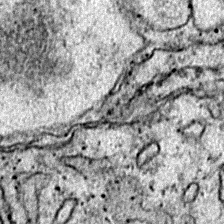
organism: Zebrafish